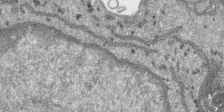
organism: Human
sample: Lung epithelial cells infected with SARS-CoV-2